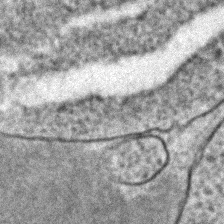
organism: C. elegans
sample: C. elegans embryo